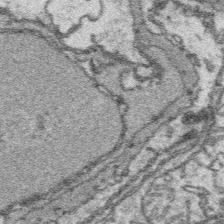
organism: Platynereis dumerilii